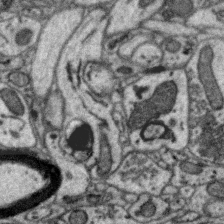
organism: Zebra finch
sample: Brain